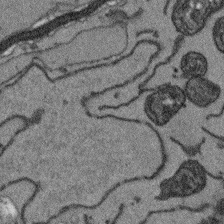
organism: Arabidopsis thaliana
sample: Root tip